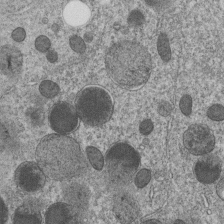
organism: C. elegans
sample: C. elegans embryo early stage